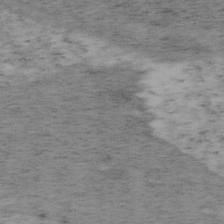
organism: Mouse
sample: OT-I killer T cells with ID8 ovarian cancer cells